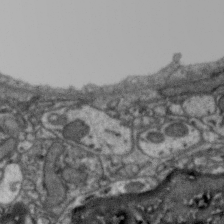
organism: Zebra finch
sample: Brain